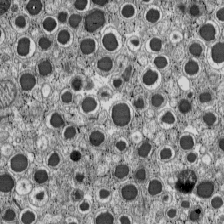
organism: C57BL Mouse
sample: Pancreatic islet